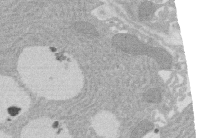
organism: Rat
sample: Salivary granule